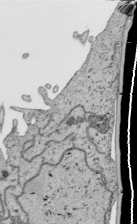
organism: Human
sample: Mitochondria in HCT116 cells